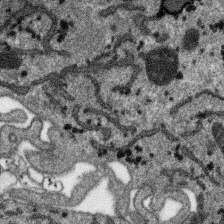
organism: Human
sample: Lung epithelial cells infected with SARS-CoV-2